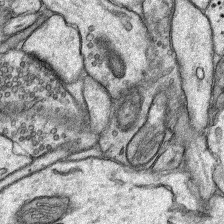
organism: Rat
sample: Hippocampus